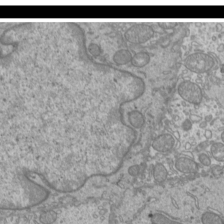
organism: Mouse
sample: Cilia; mouse epididymis